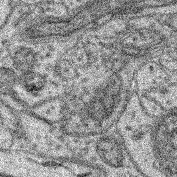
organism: Mouse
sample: Retina